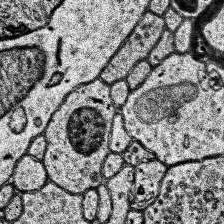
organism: Human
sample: Temporal Lobe